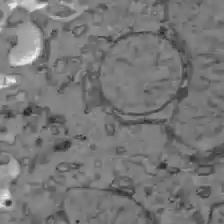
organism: C57BL Mouse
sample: Liver